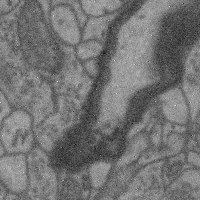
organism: Mouse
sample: Cerebral cortex